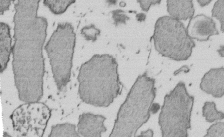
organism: E. coli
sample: Bacterial nucleoid